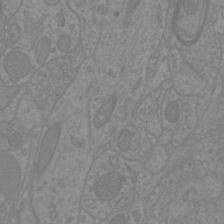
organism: Mouse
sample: Cortical neurons